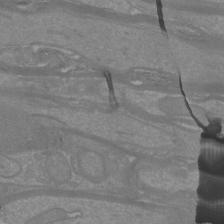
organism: Mouse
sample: Cortical neurons